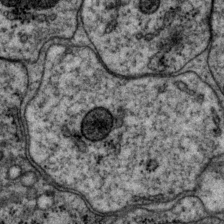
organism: P. pacificus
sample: Pharynx